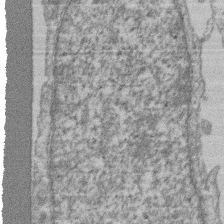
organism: Mouse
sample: T cell stromal cell synapse